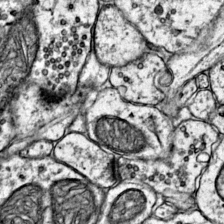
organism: Mouse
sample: Primary visual cortex